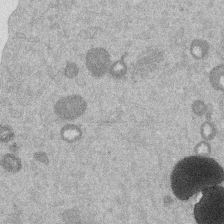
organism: Mouse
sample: Dividing mouse embryo 1 cell stage